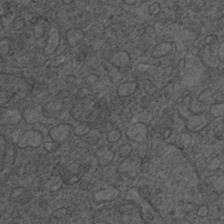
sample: Trachea